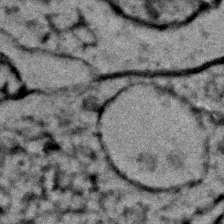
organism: Zebrafish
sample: Zebrafish embryo